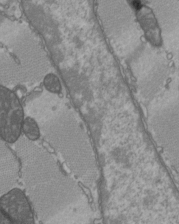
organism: C57BL Mouse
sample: Heart